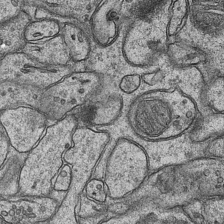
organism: Mouse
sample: CA1 Hippocampus